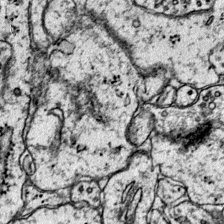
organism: Mouse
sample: Primary visual cortex